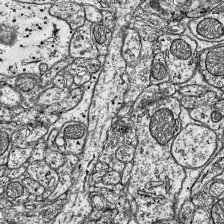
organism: Mouse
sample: Visual Cortex